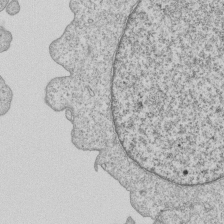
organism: Human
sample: MDA-MB-231 cells